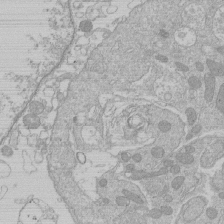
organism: Human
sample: Macrophage cells